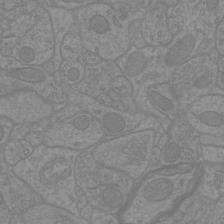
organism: Mouse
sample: Cortical neurons